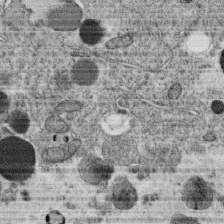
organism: C. elegans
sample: C. elegans oocyte; sperm cells